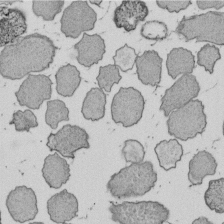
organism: E. coli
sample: Bacterial nucleoid